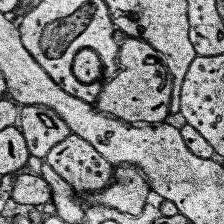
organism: Human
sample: Temporal Lobe